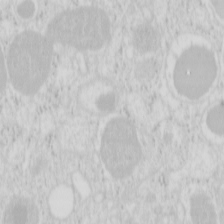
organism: Mouse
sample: Pancreas